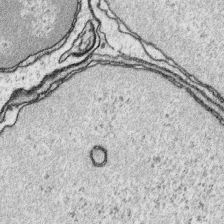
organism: Platynereis dumerilii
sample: Parapodia